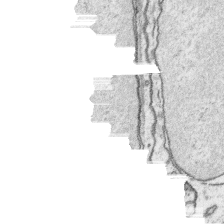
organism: Platynereis dumerilii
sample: Parapodia